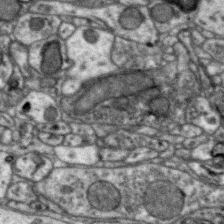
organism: Zebra finch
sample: Brain